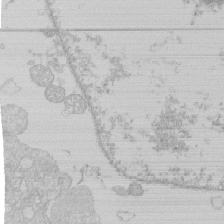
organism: Human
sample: Macrophage cells